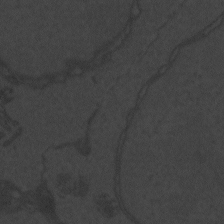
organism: Zebrafish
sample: Macrophage infected with Toxoplasma gondii